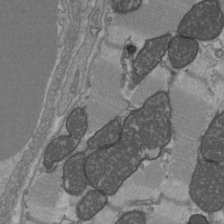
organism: C57BL Mouse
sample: Heart